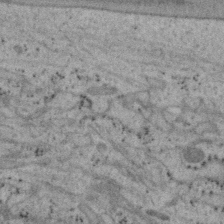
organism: Human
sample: HeLa cells